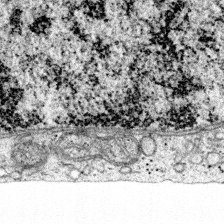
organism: Human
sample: HeLa cells